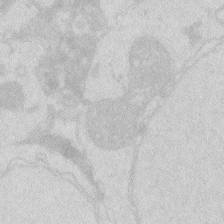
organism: Zebrafish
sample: Macrophage